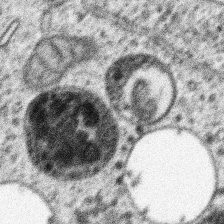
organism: Human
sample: HeLa cells